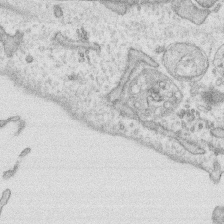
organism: Human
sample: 1205lu cells